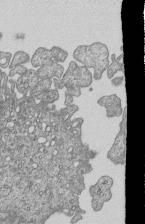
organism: Human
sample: MDA-MB-231 cells